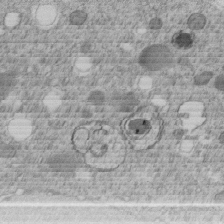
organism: C. elegans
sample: C. elegans embryo early stage